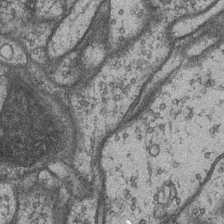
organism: Drosophila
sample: Optic medulla